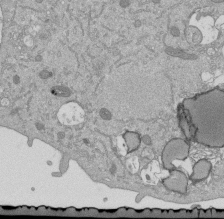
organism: Mouse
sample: ED-1 cell nuclei; centrioles